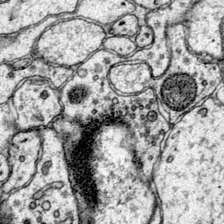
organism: Mouse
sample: Primary visual cortex